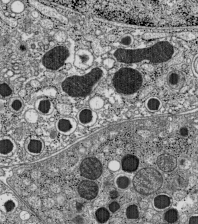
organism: C57BL Mouse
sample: Pancreatic islet